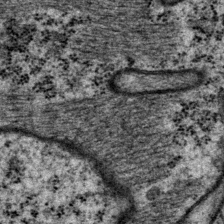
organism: P. pacificus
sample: Pharynx